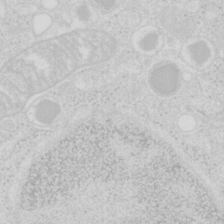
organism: Mouse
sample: Pancreas